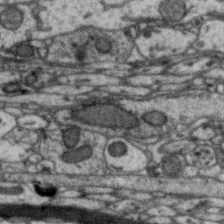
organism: Zebra finch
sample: Brain